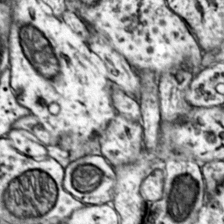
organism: Mouse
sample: Primary visual cortex